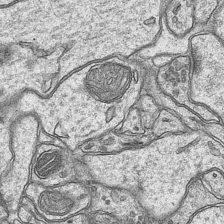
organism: Mouse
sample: CA1 Hippocampus